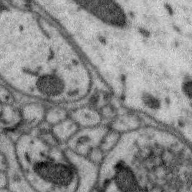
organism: Zebra finch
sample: Brain